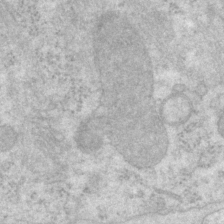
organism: P. pacificus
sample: Pharynx